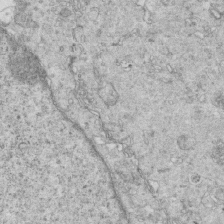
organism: Mouse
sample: Multiciliated cells